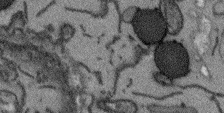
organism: Arabidopsis thaliana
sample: Root tip